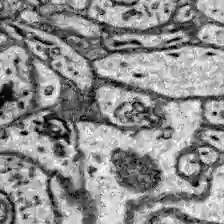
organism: Zebrafish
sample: Brain